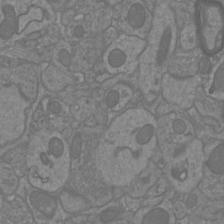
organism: Mouse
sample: Cortical neurons